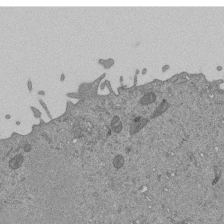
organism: Mouse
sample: ED-1 cell nuclei; centrioles